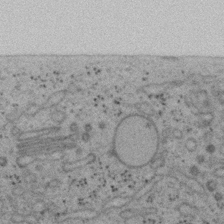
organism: Human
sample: HeLa cells